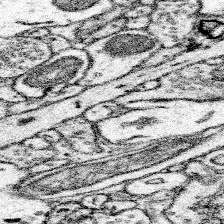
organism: Mouse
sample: Somatosensory cortex neuropil